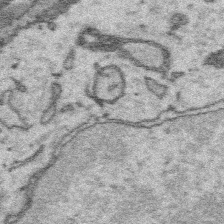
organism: Platynereis dumerilii